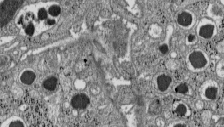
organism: C57BL Mouse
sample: Pancreatic islet